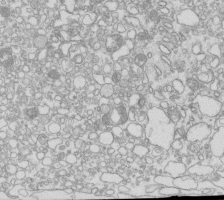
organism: Mouse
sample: Macrophages